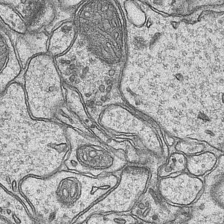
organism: Mouse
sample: CA1 Hippocampus